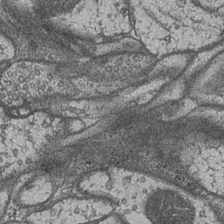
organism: Drosophila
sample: Optic medulla